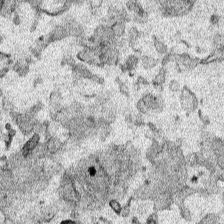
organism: Human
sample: Mitochondria in HCT116 cells